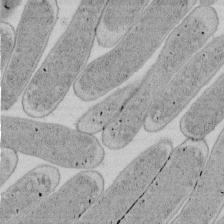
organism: E. coli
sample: Bacterial nucleoid